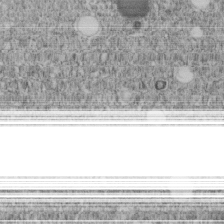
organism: C. elegans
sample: C. elegans embryo early stage